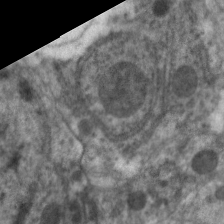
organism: C. elegans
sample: Pharynx